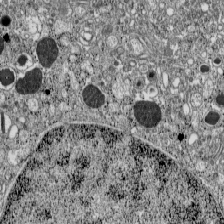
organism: C57BL Mouse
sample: Pancreatic islet